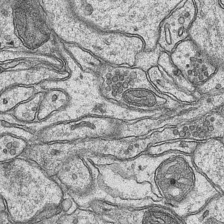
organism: Mouse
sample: CA1 Hippocampus